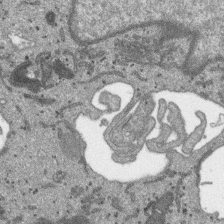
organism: Human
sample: Lung epithelial cells infected with SARS-CoV-2